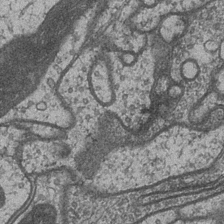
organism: Drosophila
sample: Optic medulla